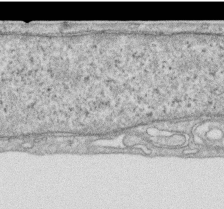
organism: Human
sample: Centriole in RPE cells